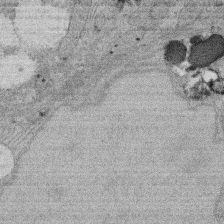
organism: Rat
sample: Salivary granule